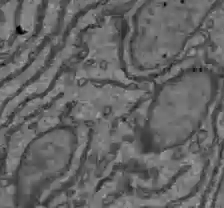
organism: C57BL Mouse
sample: Liver